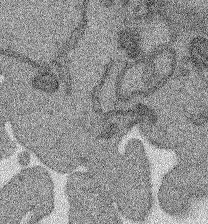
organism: Human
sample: HeLa cells